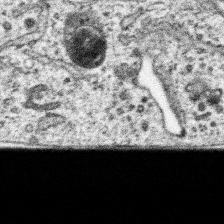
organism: Human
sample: HeLa cells